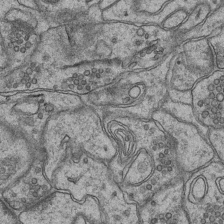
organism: Mouse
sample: CA1 Hippocampus